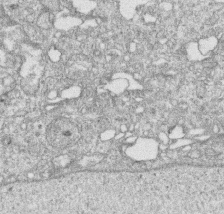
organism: Human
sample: HeLa cell HIV synapse